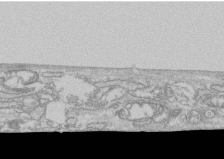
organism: Human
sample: CRL-1474